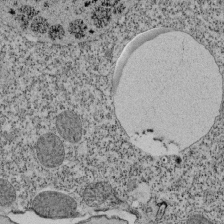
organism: Tetrahymena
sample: Cilia in tetrahymena